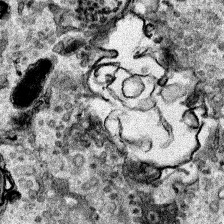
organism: Human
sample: Mitochondria in HCT116 cells